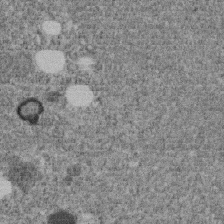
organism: C. elegans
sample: C. elegans embryo early stage